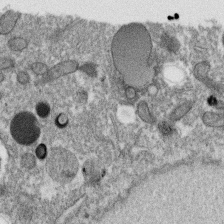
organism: C. elegans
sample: C. elegans oocyte; sperm cells